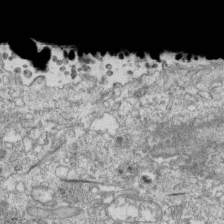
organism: Human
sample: HeLa cell HIV synapse